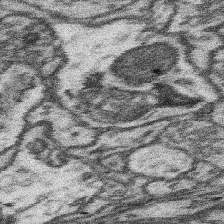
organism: Mouse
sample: Somatosensory cortex neuropil